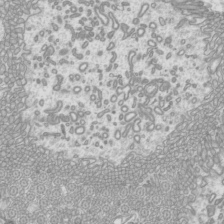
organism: Mouse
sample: Cilia; mouse epididymis